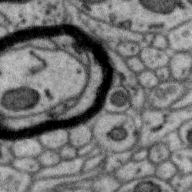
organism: Zebra finch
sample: Brain